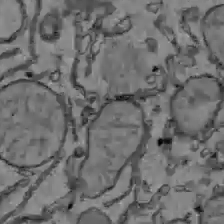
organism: C57BL Mouse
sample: Liver